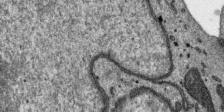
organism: Human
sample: Lung epithelial cells, uninfected (mock) control